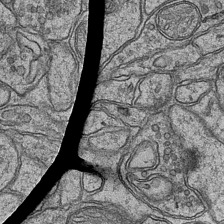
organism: Mouse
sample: CA1 Hippocampus